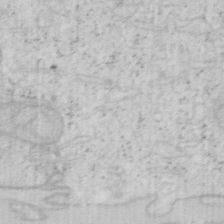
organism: Human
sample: HeLa cells